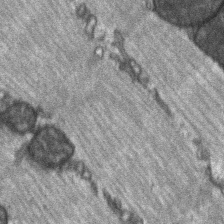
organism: C57BL Mouse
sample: Soleus